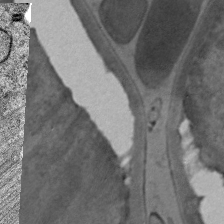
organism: C. elegans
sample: Pharynx